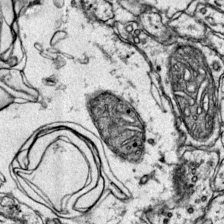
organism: Mouse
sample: Primary visual cortex